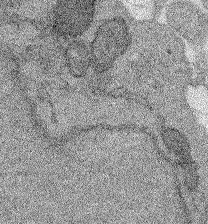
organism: Human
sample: HeLa cells